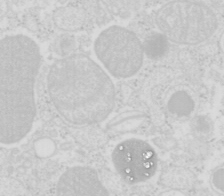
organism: Mouse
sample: Pancreas